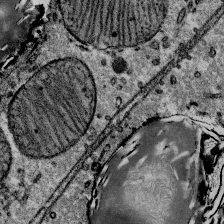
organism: Mouse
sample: Mouse Salivary gland